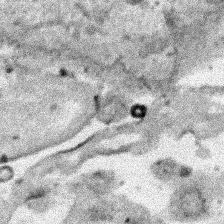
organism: Human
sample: Mitochondria in HCT116 cells